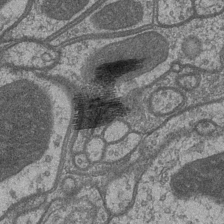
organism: Drosophila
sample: Optic medulla